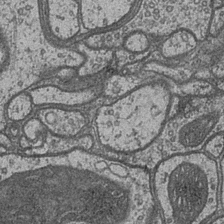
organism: Drosophila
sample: Optic medulla